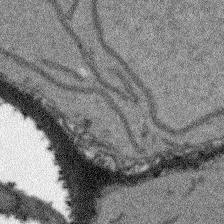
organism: Arabidopsis thaliana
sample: Root tip